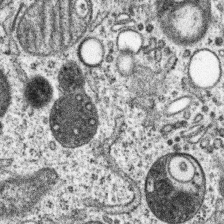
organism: Human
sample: HeLa cells